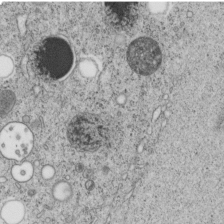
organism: C. elegans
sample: C. elegans embryo early stage